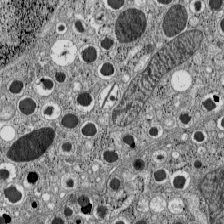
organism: C57BL Mouse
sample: Pancreatic islet